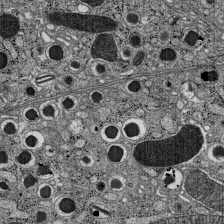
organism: C57BL Mouse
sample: Pancreatic islet